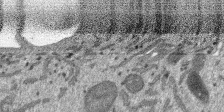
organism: Human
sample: Lung epithelial cells infected with SARS-CoV-2